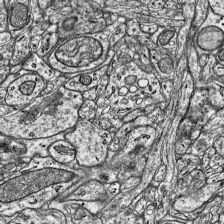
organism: Mouse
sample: Visual Cortex